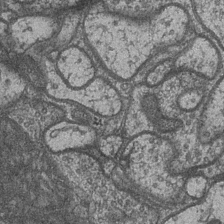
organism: Drosophila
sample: Optic medulla